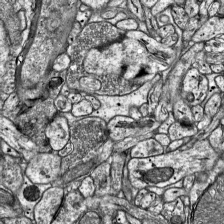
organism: Mouse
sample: Visual Cortex